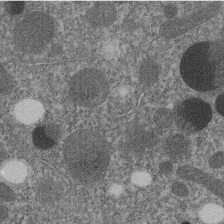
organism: C. elegans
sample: C. elegans embryo early stage